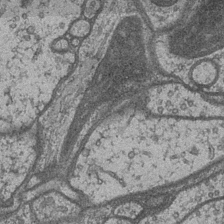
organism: Drosophila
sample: Optic medulla